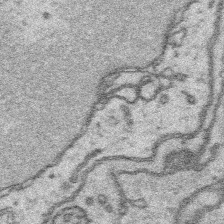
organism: Platynereis dumerilii